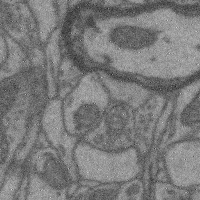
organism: Mouse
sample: Cerebral cortex